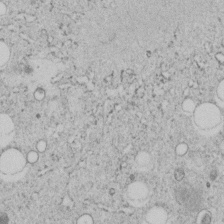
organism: C. elegans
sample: C. elegans embryo early stage